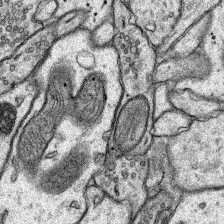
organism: Rat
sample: Hippocampus